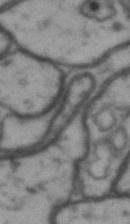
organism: Drosophila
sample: Brain